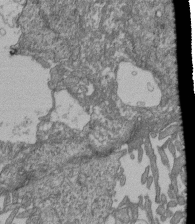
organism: Human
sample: Retinal organoid Rod and Cone cells